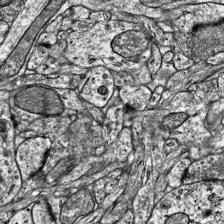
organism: Mouse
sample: Visual Cortex